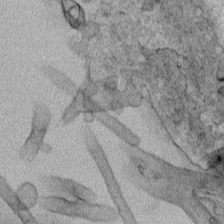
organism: Human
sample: Mitochondria in HCT116 cells